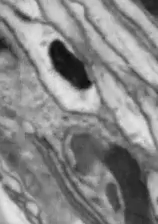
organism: Drosophila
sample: Optic lobe